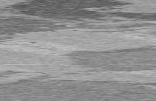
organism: C57BL Mouse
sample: Heart